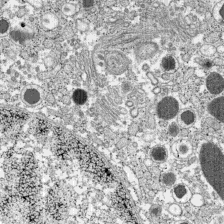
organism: C57BL Mouse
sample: Pancreatic islet